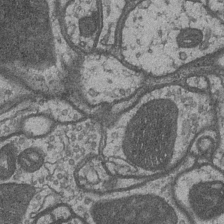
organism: Drosophila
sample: Optic medulla